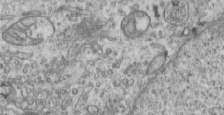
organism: Human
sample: Centriole in RPE cells